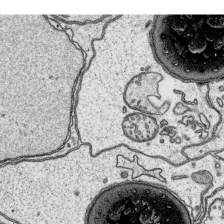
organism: Platynereis dumerilii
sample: Parapodia